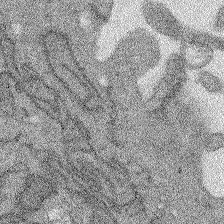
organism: Human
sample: HeLa cells